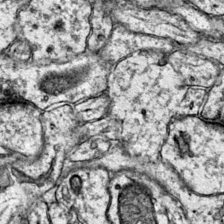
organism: Mouse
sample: Primary visual cortex